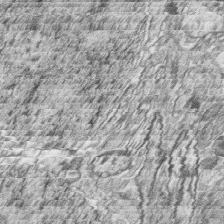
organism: Zebrafish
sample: synaptic ribbons in rod cells and cone cells